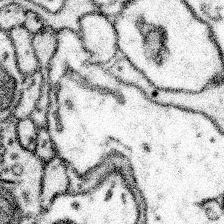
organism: Mouse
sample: Somatosensory cortex neuropil